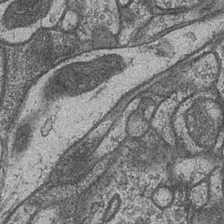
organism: Drosophila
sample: Optic medulla